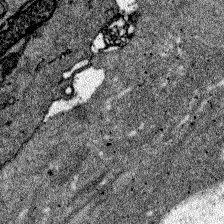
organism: Zebrafish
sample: Larval olfactory bulb